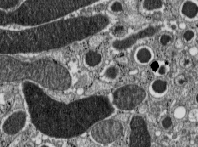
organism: C57BL Mouse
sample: Pancreatic islet